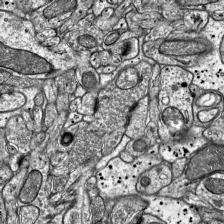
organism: Mouse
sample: Visual Cortex